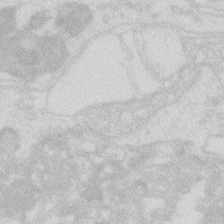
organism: Zebrafish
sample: Macrophage